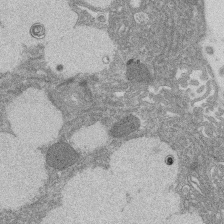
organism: Rat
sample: Salivary granule